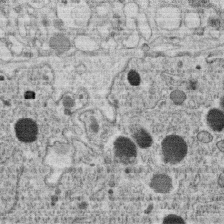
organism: C. elegans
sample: C. elegans oocyte; sperm cells